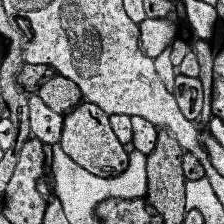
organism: Human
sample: Temporal Lobe